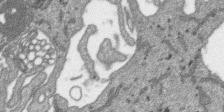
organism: Human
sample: Lung epithelial cells infected with SARS-CoV-2